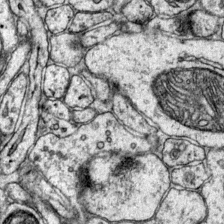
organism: Mouse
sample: Primary visual cortex